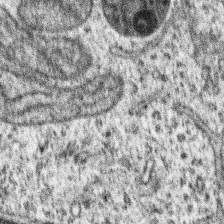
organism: Human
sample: HeLa cells